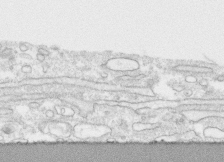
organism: Human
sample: CRL-1474